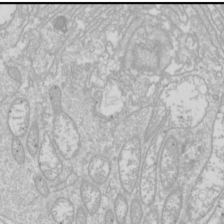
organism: Drosophila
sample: Cell division; meiosis; drosophila spermatocytes